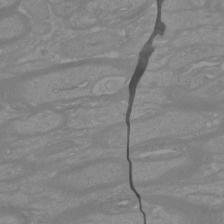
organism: Mouse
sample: Cortical neurons